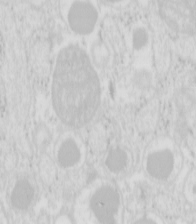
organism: Mouse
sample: Pancreas